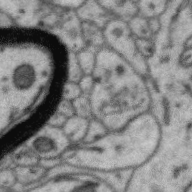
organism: Zebra finch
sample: Brain